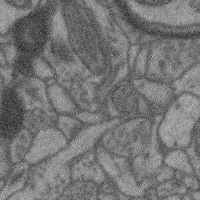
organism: Mouse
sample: Cerebral cortex